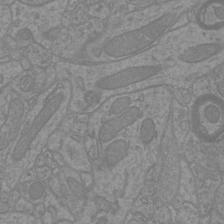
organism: Mouse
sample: Cortical neurons